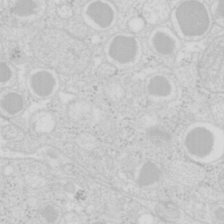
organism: Mouse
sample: Pancreas